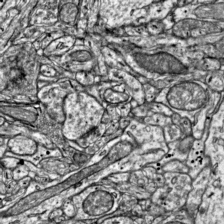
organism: Mouse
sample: Visual Cortex